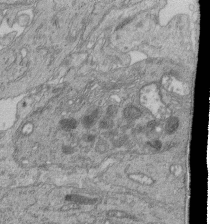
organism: Human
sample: Retinal organoid Rod and Cone cells